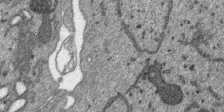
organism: Human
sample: Lung epithelial cells infected with SARS-CoV-2